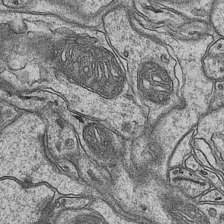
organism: Mouse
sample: CA1 Hippocampus